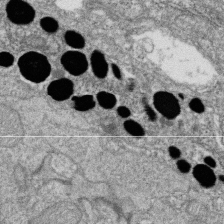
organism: Zebrafish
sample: Cilia; retinal pigment epithelium